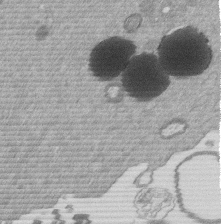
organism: Mouse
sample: Dividing mouse embryo 1 cell stage